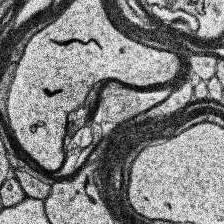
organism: Human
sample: Temporal Lobe